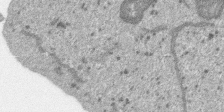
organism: Human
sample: Lung epithelial cells infected with SARS-CoV-2